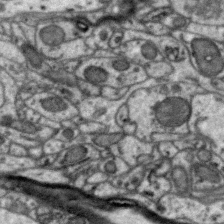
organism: Zebra finch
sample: Brain